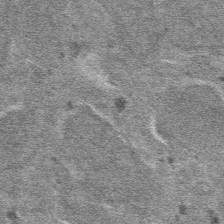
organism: Mouse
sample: Mouse hepatocytes